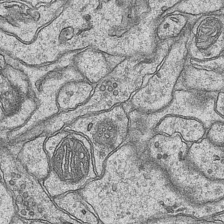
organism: Mouse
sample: CA1 Hippocampus